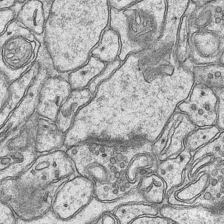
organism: Mouse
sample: CA1 Hippocampus